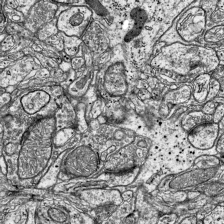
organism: Mouse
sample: Visual Cortex